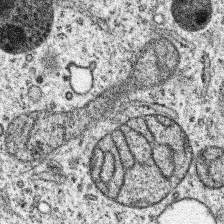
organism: Human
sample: HeLa cells